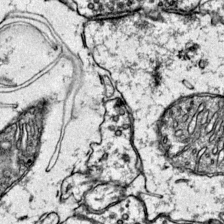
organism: Mouse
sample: Primary visual cortex